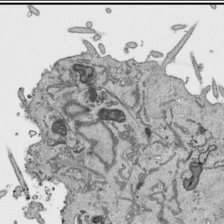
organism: Human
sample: Mitochondria in HCT116 cells